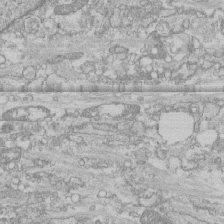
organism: Human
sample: CRL-1474